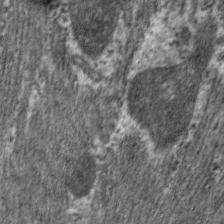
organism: C. elegans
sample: Pharynx